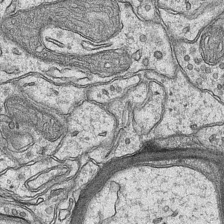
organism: Mouse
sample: CA1 Hippocampus